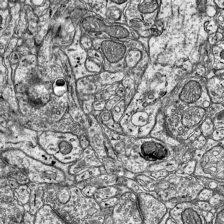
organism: Mouse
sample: Visual Cortex